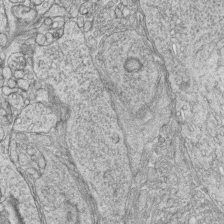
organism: Zebrafish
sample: synaptic ribbons in rod cells and cone cells